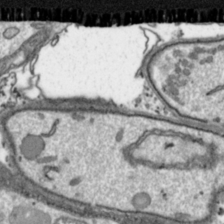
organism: Toxoplasma gondii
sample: Parasites in a vacuole inside a host cell